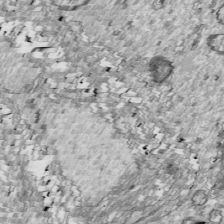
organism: Drosophila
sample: Cell division; meiosis; drosophila spermatocytes